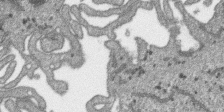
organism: Human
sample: Lung epithelial cells infected with SARS-CoV-2